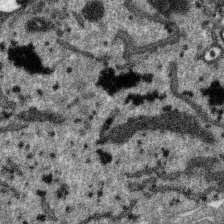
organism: Human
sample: Lung epithelial cells infected with SARS-CoV-2